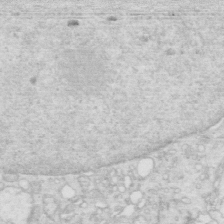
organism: Mouse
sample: Multiciliated cells